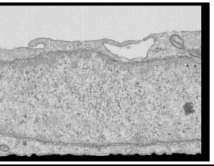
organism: Human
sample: Centriole in RPE cells